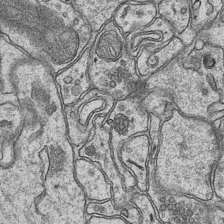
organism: Mouse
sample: CA1 Hippocampus